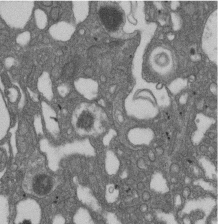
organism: Drosophila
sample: Nephrocyte